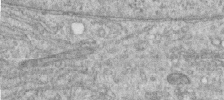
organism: Human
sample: Centriole in RPE cells